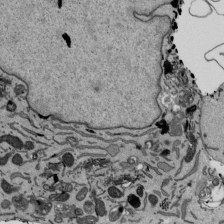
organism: Mouse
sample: ED-1 cell nuclei; centrioles